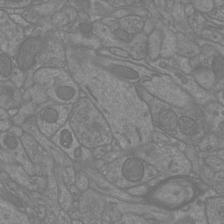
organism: Mouse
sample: Cortical neurons